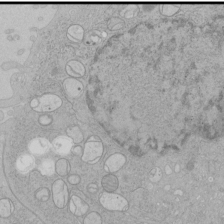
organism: Human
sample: Mitochondria in HCT116 cells